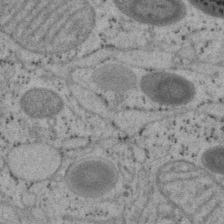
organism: Human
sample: HeLa cells